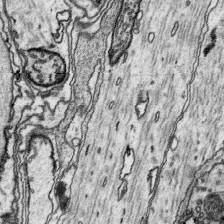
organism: Platynereis dumerilii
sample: Parapodia